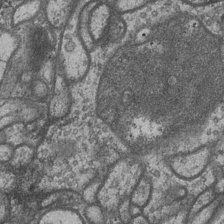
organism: Drosophila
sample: Optic medulla